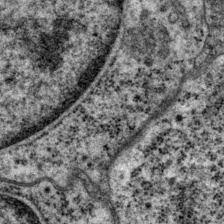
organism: P. pacificus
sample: Pharynx